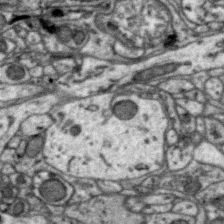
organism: Zebra finch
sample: Brain